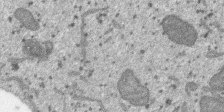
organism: Human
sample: Lung epithelial cells infected with SARS-CoV-2